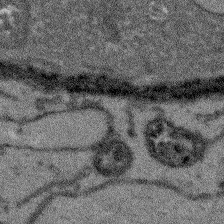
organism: Arabidopsis thaliana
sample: Root tip